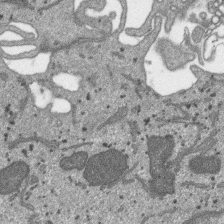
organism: Human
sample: Lung epithelial cells infected with SARS-CoV-2